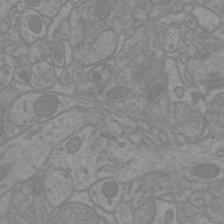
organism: Mouse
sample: Cortical neurons